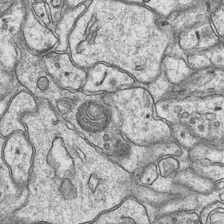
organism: Mouse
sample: CA1 Hippocampus